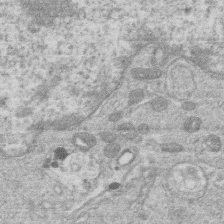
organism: Human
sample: Macrophage cells